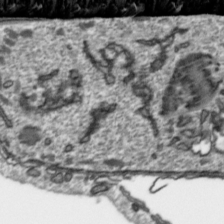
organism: Toxoplasma gondii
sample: Parasites in a vacuole inside a host cell